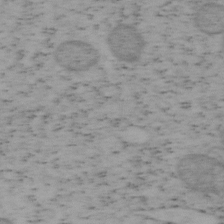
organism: Mouse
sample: OT-I killer T cells with ID8 ovarian cancer cells